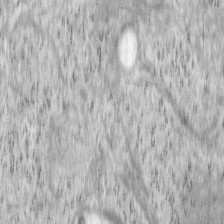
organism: Human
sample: HeLa cells